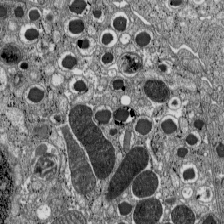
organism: C57BL Mouse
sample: Pancreatic islet